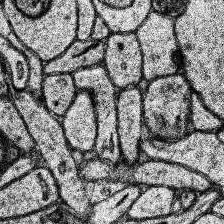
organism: Human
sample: Temporal Lobe